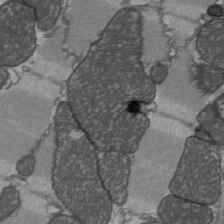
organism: C57BL Mouse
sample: Heart